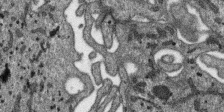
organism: Human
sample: Lung epithelial cells infected with SARS-CoV-2